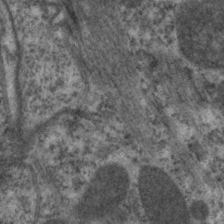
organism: C. elegans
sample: Pharynx